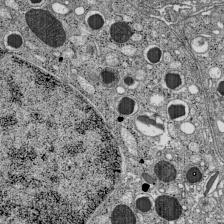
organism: C57BL Mouse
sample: Pancreatic islet